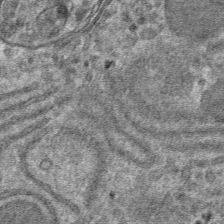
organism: Mouse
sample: Mouse hepatocytes